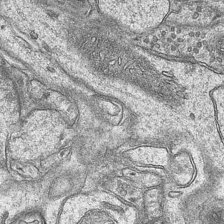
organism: Mouse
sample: CA1 Hippocampus